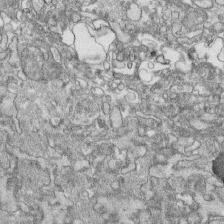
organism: Human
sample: CRL-1474